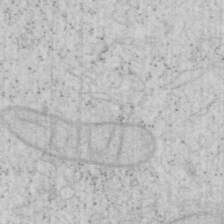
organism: Human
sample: HeLa cells